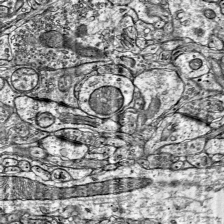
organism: Mouse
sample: Visual Cortex